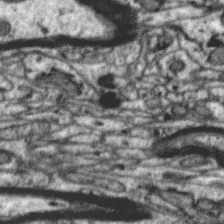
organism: Zebra finch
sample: Brain